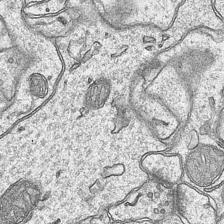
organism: Mouse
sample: CA1 Hippocampus